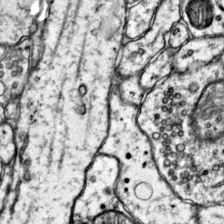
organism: Mouse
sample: Primary visual cortex